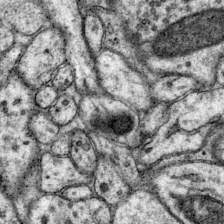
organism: Mouse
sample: Primary visual cortex